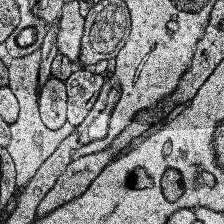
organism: Human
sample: Temporal Lobe